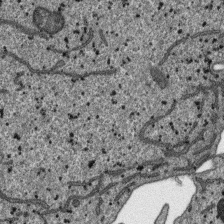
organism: Human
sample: Lung epithelial cells infected with SARS-CoV-2